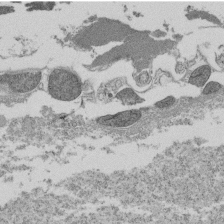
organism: Tetrahymena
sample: Cilia in tetrahymena